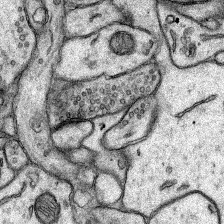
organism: Rat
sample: Hippocampus